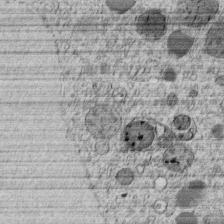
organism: C. elegans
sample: C. elegans embryo early stage